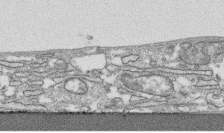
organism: Human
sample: CRL-1474